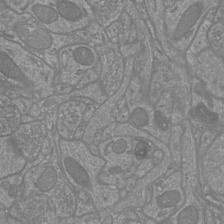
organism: Mouse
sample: Cortical neurons